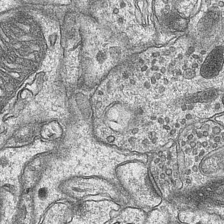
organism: Mouse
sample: CA1 Hippocampus